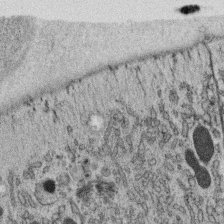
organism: C. elegans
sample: C. elegans oocyte; sperm cells